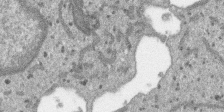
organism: Human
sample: Lung epithelial cells infected with SARS-CoV-2